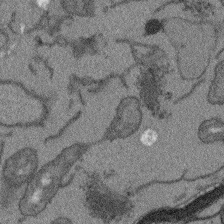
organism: Arabidopsis thaliana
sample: Root tip